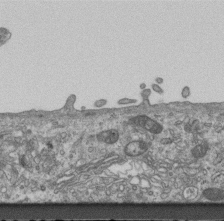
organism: Mouse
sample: Centriole in ependymal cells